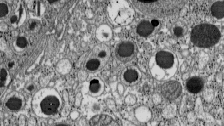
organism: C57BL Mouse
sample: Pancreatic islet